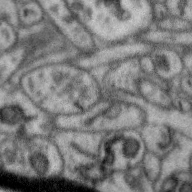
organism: Zebra finch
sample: Brain